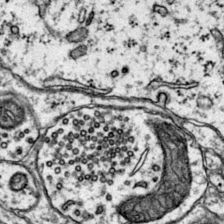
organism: Mouse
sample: Primary visual cortex